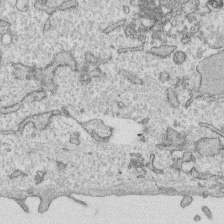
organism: Human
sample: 1205lu cells